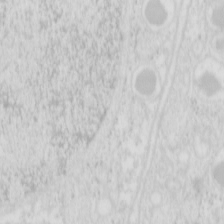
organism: Mouse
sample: Pancreas